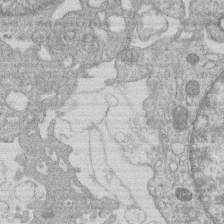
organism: Human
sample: Macrophage cells